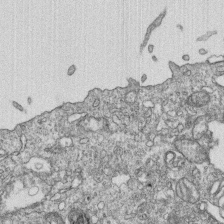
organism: Human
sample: HeLa cell HIV synapse